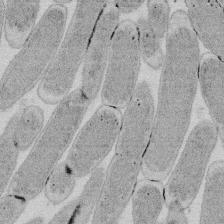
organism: E. coli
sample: Bacterial nucleoid